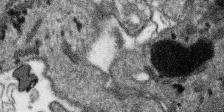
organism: Human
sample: Lung epithelial cells infected with SARS-CoV-2